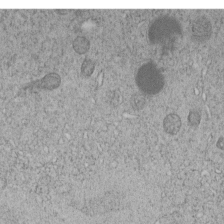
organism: C. elegans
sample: C. elegans embryo early stage